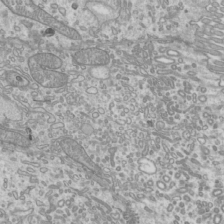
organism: Mouse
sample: Cilia; mouse epididymis